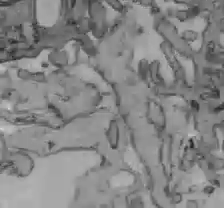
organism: C57BL Mouse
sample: Liver